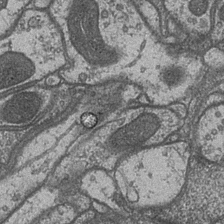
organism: Drosophila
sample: Optic medulla